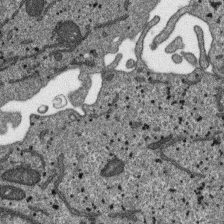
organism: Human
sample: Lung epithelial cells infected with SARS-CoV-2